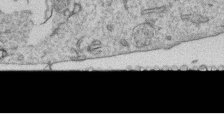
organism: Human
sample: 1205lu cells